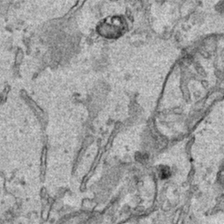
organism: Human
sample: Mitochondria in HCT116 cells